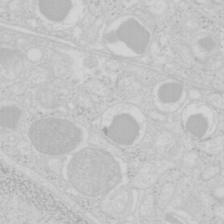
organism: Mouse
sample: Pancreas